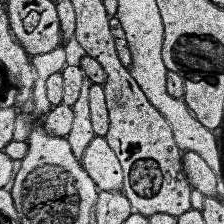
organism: Human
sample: Temporal Lobe